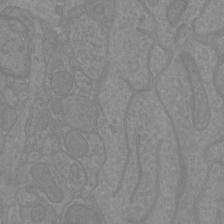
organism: Mouse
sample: Cortical neurons